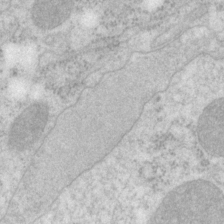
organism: P. pacificus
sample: Pharynx